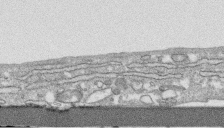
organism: Human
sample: CRL-1474